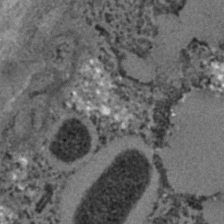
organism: C. elegans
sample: C. elegans embryo